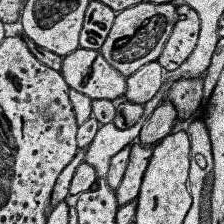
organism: Human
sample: Temporal Lobe